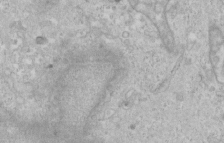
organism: Human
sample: Centriole in RPE cells